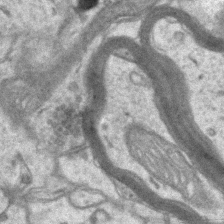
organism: Mouse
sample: CA1 Hippocampus